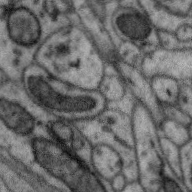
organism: Zebra finch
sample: Brain